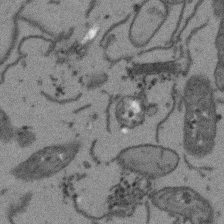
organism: Arabidopsis thaliana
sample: Root tip